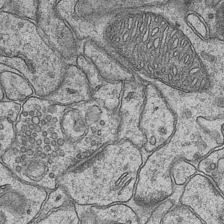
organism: Mouse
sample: CA1 Hippocampus